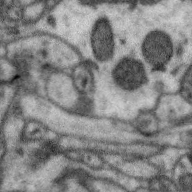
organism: Zebra finch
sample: Brain